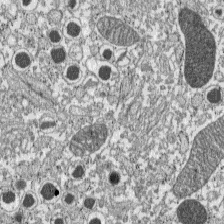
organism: C57BL Mouse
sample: Pancreatic islet